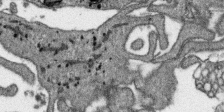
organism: Human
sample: Lung epithelial cells, uninfected (mock) control